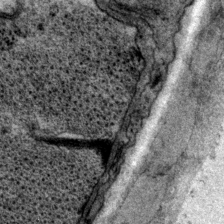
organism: P. pacificus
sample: Pharynx